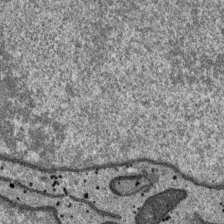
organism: Human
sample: Lung epithelial cells, uninfected (mock) control